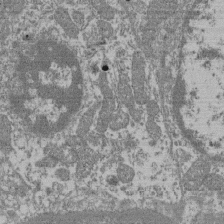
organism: Mouse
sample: Glomerulus